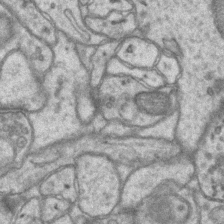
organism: Mouse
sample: CA1 Hippocampus